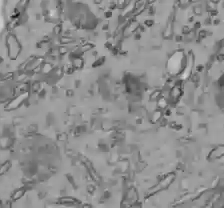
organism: C57BL Mouse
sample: Liver